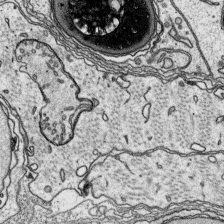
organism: Platynereis dumerilii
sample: Parapodia